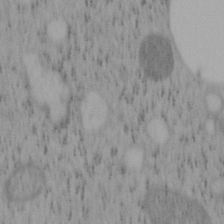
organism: Mouse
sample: OT-I killer T cells with ID8 ovarian cancer cells